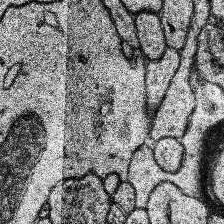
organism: Human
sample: Temporal Lobe